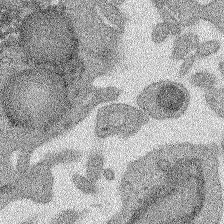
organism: Human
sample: HeLa cells